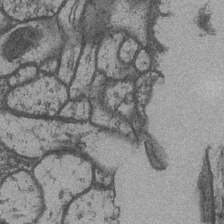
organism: Drosophila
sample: Optic medulla